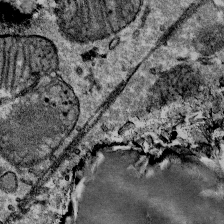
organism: Mouse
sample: Mouse Salivary gland